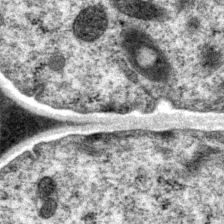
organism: P. pacificus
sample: Pharynx